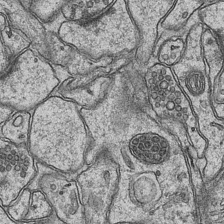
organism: Mouse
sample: CA1 Hippocampus